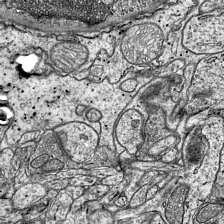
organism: Mouse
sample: Visual Cortex